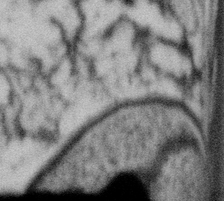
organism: Gemmata obscuriglobus